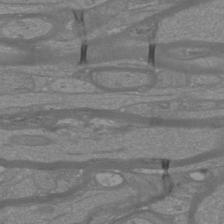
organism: Mouse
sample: Cortical neurons